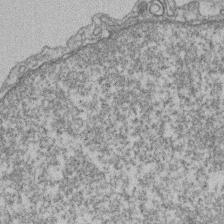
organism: Mouse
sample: T cell stromal cell synapse